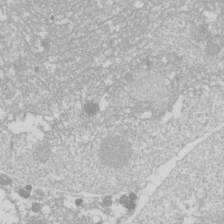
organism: Drosophila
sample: Cell division; meiosis; drosophila spermatocytes